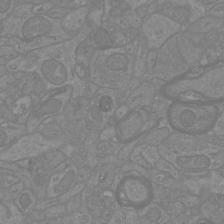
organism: Mouse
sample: Cortical neurons